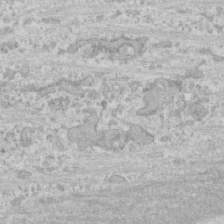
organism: Human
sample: CRL-1474